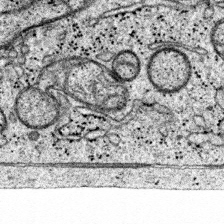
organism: Human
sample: HeLa cells